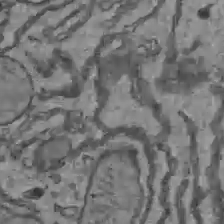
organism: C57BL Mouse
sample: Liver